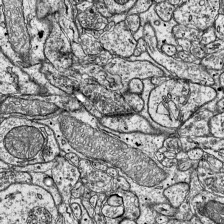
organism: Mouse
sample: Visual Cortex